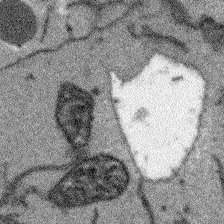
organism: Arabidopsis thaliana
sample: Root tip